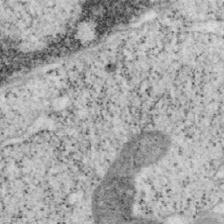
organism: Mouse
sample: OT-I killer T cells with ID8 ovarian cancer cells